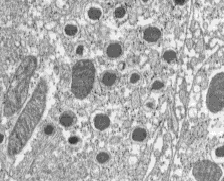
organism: C57BL Mouse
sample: Pancreatic islet